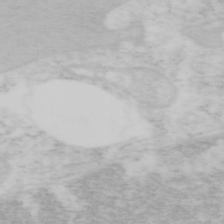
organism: Mouse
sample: OT-I killer T cells with ID8 ovarian cancer cells